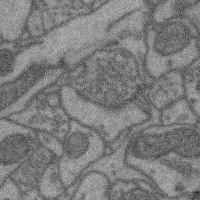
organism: Mouse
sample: Cerebral cortex